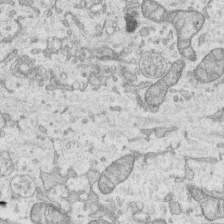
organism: Human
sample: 1205lu cells